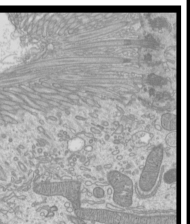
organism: Mouse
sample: Cilia; mouse epididymis